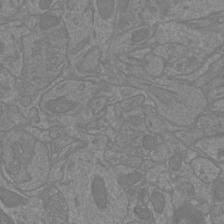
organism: Mouse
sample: Cortical neurons